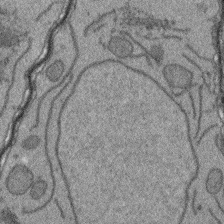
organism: Arabidopsis thaliana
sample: Root tip